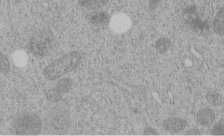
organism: C. elegans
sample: C. elegans embryo early stage